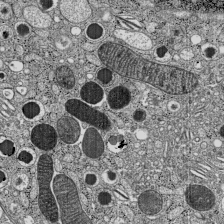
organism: C57BL Mouse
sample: Pancreatic islet